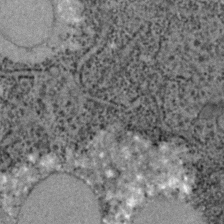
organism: C. elegans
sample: C. elegans embryo